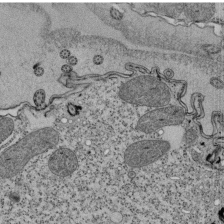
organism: Tetrahymena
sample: Cilia in tetrahymena